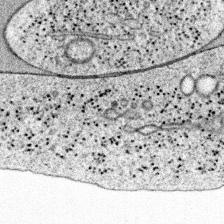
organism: Human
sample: HeLa cells